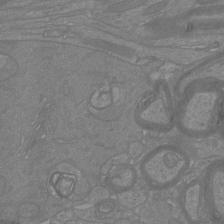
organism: Mouse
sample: Cortical neurons